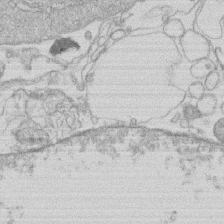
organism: Human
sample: Macrophage cells